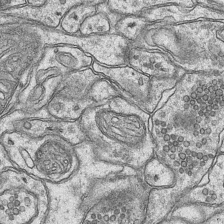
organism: Mouse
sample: CA1 Hippocampus